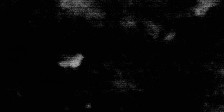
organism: Human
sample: Lung epithelial cells infected with SARS-CoV-2